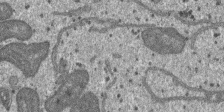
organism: Human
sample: Lung epithelial cells infected with SARS-CoV-2